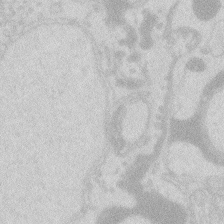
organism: Zebrafish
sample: Macrophage